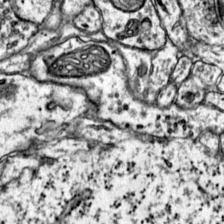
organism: Mouse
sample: Primary visual cortex